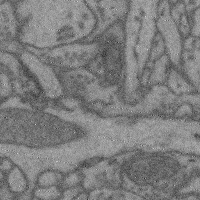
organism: Mouse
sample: Cerebral cortex